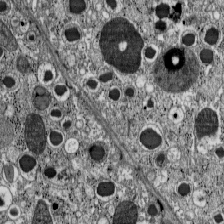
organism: C57BL Mouse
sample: Pancreatic islet